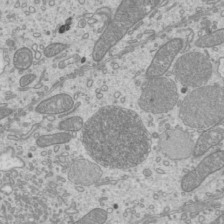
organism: Mouse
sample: Cilia; mouse epididymis